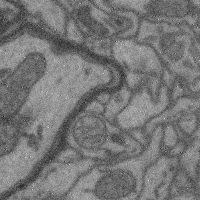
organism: Mouse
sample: Cerebral cortex